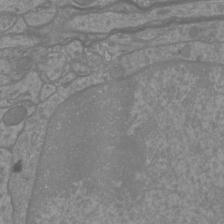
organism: Mouse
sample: Cortical neurons